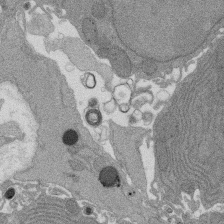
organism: Rat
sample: Salivary granule